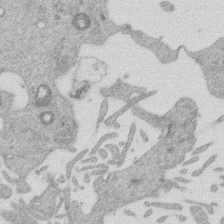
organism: Mouse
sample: Dividing mouse embryo 1 cell stage